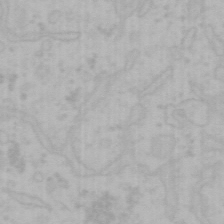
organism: Mouse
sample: Choroid plexus